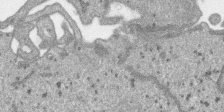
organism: Human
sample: Lung epithelial cells infected with SARS-CoV-2